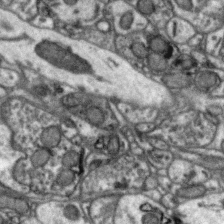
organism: Zebra finch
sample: Brain